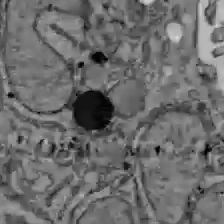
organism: C57BL Mouse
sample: Liver